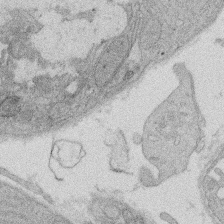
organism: Rat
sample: Salivary granule